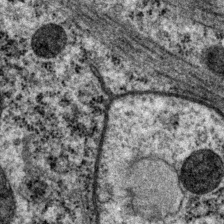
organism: P. pacificus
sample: Pharynx